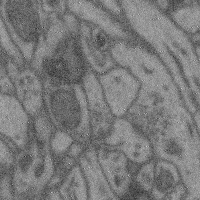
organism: Mouse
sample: Cerebral cortex